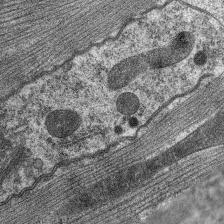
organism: C. elegans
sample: Pharynx